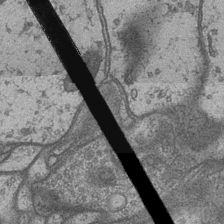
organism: Drosophila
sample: Optic medulla